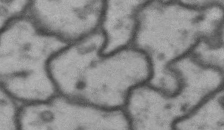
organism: Drosophila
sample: Brain